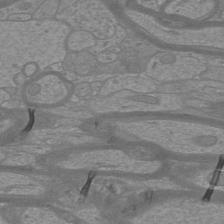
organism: Mouse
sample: Cortical neurons